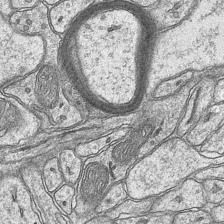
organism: Mouse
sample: CA1 Hippocampus